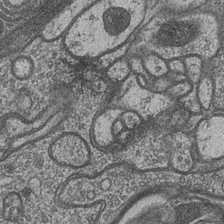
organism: Drosophila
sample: Optic medulla